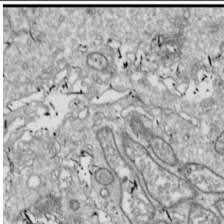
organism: Drosophila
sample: Cell division; meiosis; drosophila spermatocytes